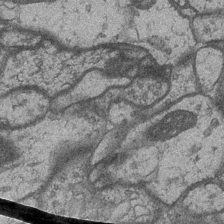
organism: Drosophila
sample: Optic medulla